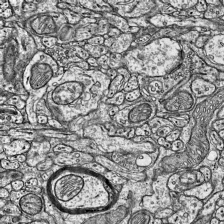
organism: Mouse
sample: Visual Cortex